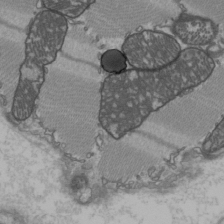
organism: C57BL Mouse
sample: Heart